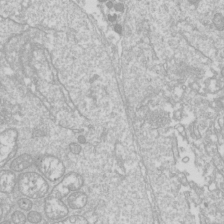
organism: Drosophila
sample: Cell division; meiosis; drosophila spermatocytes